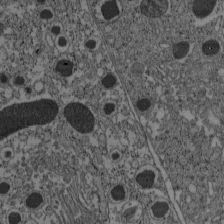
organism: C57BL Mouse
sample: Pancreatic islet